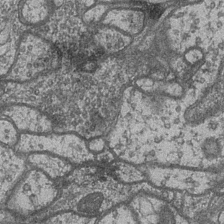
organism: Drosophila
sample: Optic medulla